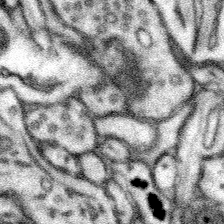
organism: Mouse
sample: Somatosensory cortex neuropil